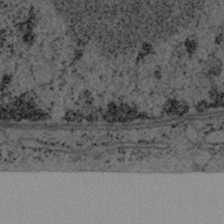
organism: Human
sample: HeLa cells